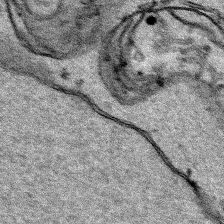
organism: Human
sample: Mitochondria in HCT116 cells